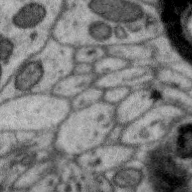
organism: Zebra finch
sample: Brain